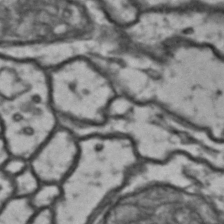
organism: Drosophila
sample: Brain